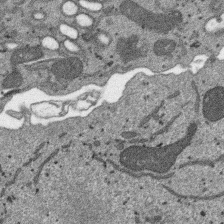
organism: Human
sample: Lung epithelial cells infected with SARS-CoV-2